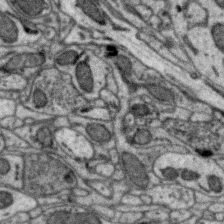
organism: Zebra finch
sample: Brain